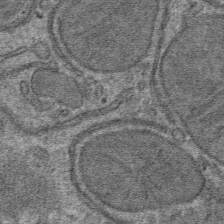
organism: Mouse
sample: Mouse hepatocytes